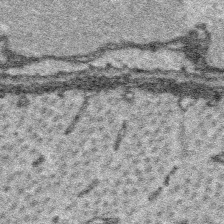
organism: Platynereis dumerilii